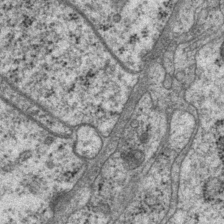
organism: P. pacificus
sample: Pharynx